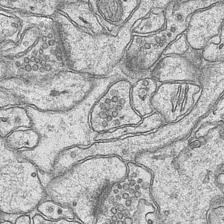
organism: Mouse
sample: CA1 Hippocampus